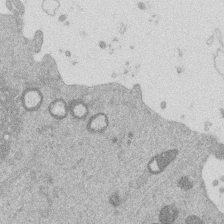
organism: Mouse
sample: Dividing mouse embryo 1 cell stage